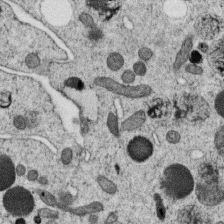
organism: C. elegans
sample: C. elegans oocyte; sperm cells